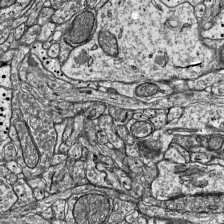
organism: Mouse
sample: Visual Cortex